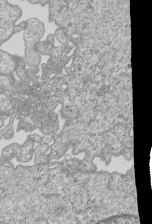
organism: Human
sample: MDA-MB-231 cells